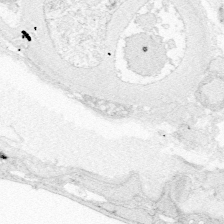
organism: Zebrafish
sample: Whole-Brain